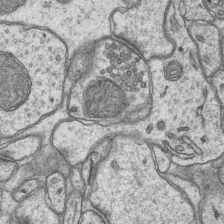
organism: Mouse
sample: CA1 Hippocampus